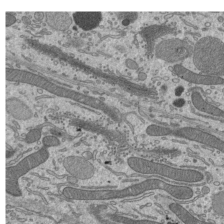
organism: Mouse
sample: Mouse epididymis efferent ductule cilia